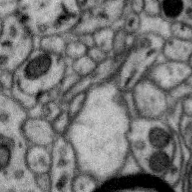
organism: Zebra finch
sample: Brain